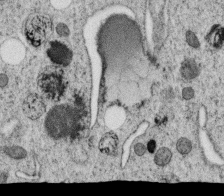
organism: C. elegans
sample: C. elegans oocyte; sperm cells